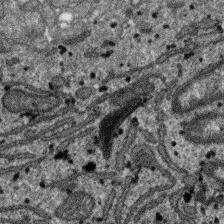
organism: Human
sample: Lung epithelial cells infected with SARS-CoV-2